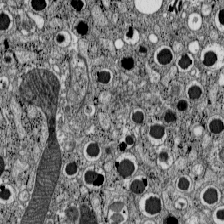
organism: C57BL Mouse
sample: Pancreatic islet